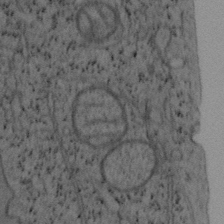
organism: Human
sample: HeLa cells